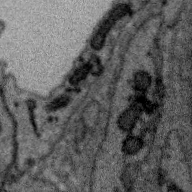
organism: Zebra finch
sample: Brain